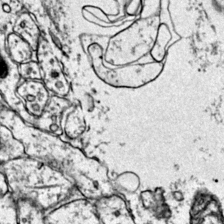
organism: Mouse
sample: Primary visual cortex